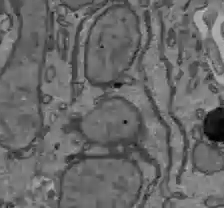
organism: C57BL Mouse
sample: Liver